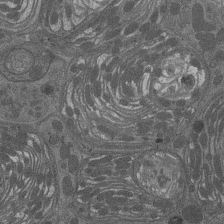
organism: Drosophila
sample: Antenna